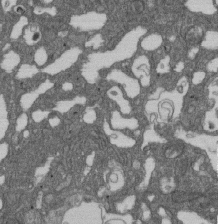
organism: Drosophila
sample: Nephrocyte